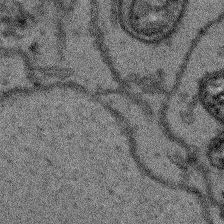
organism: Arabidopsis thaliana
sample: Root tip